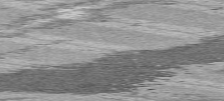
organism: C57BL Mouse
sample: Heart